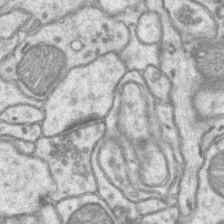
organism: Mouse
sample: CA1 Hippocampus